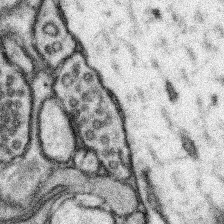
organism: Mouse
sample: Somatosensory cortex neuropil